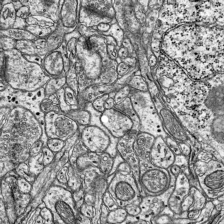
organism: Mouse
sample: Visual Cortex